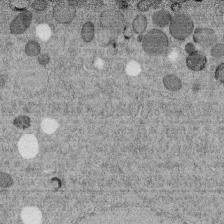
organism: C. elegans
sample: C. elegans embryo early stage